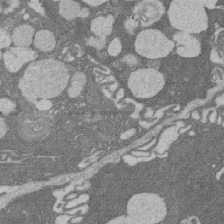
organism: Rat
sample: Salivary granule